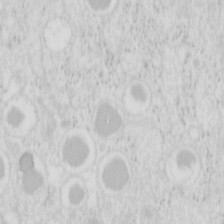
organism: Mouse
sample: Pancreas